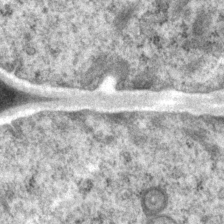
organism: P. pacificus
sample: Pharynx